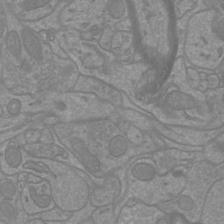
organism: Mouse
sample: Cortical neurons